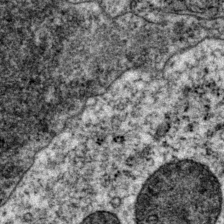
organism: P. pacificus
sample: Pharynx